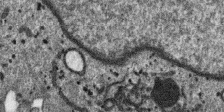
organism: Human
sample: Lung epithelial cells infected with SARS-CoV-2